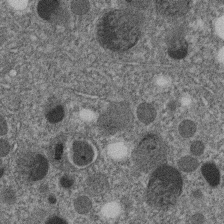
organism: C. elegans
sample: C. elegans embryo early stage